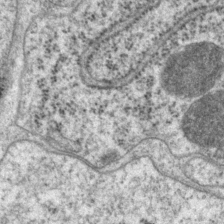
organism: P. pacificus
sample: Pharynx